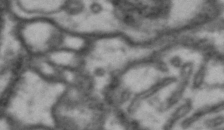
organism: Drosophila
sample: Brain